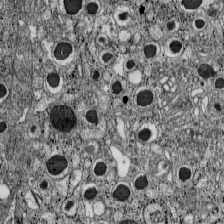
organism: C57BL Mouse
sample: Pancreatic islet